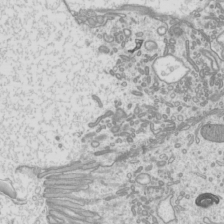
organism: Mouse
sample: Cilia; mouse epididymis